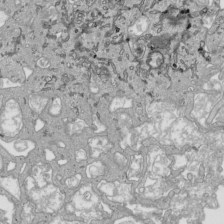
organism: Human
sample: Mitochondria in HCT116 cells